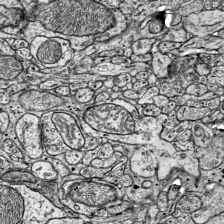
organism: Mouse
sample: Visual Cortex